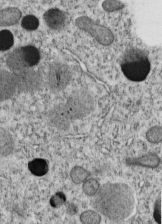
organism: C. elegans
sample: C. elegans embryo early stage